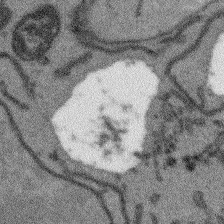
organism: Arabidopsis thaliana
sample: Root tip